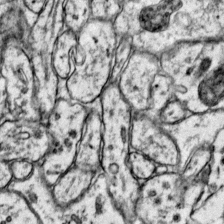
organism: Mouse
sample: Primary visual cortex